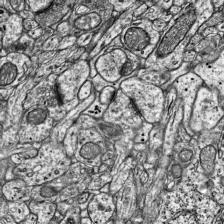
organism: Mouse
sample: Visual Cortex